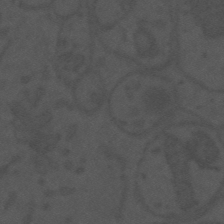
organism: Mouse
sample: Suprachiasmatic nucleus